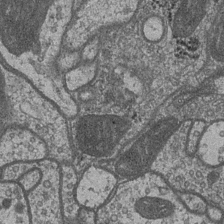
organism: Drosophila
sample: Optic medulla